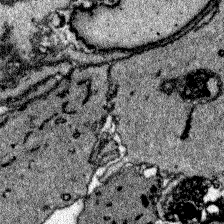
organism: Zebrafish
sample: Larval olfactory bulb